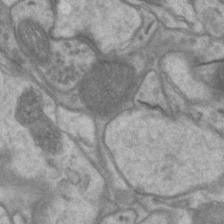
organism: Mouse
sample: CA1 Hippocampus